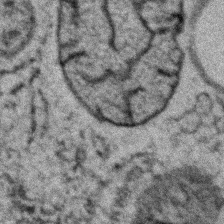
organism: Zebrafish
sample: Zebrafish embryo